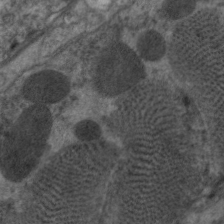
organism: C. elegans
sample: Pharynx